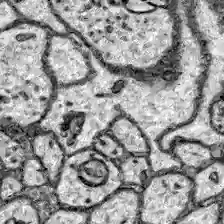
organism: Zebrafish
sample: Brain